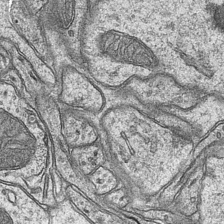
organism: Mouse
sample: CA1 Hippocampus